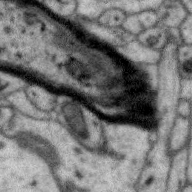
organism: Zebra finch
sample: Brain